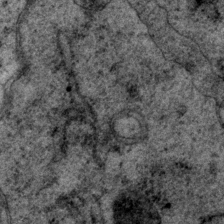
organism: P. pacificus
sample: Pharynx